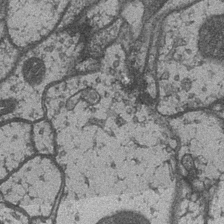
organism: Drosophila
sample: Optic medulla